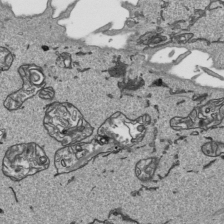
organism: Human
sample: Mitochondria in HCT116 cells